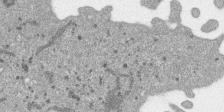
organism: Human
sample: Lung epithelial cells infected with SARS-CoV-2